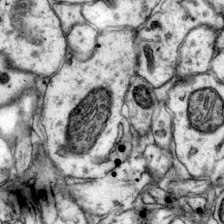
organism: Mouse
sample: Primary visual cortex